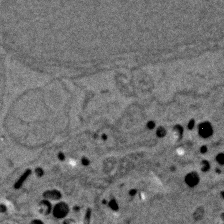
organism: Zebrafish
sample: Zebrafish embryo